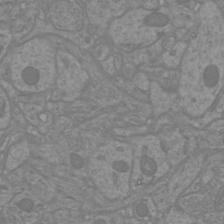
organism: Mouse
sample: Cortical neurons